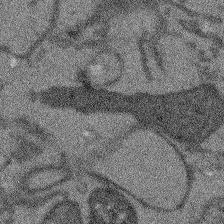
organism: Arabidopsis thaliana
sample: Root tip